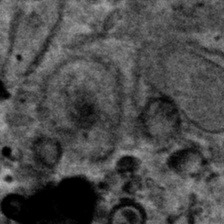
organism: Mouse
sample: Mouse hepatocytes